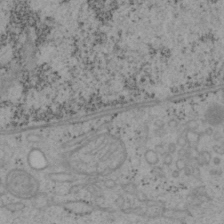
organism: Human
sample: HeLa cells